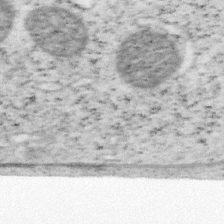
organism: Mouse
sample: OT-I killer T cells with ID8 ovarian cancer cells